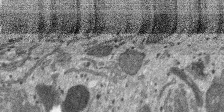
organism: Human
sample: Lung epithelial cells infected with SARS-CoV-2